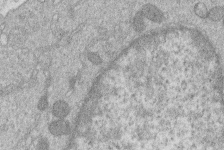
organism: Human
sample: Macrophage cells